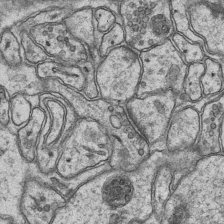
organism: Mouse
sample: CA1 Hippocampus